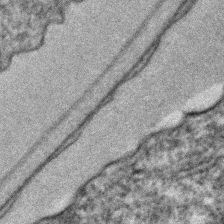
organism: C. elegans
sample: C. elegans embryo